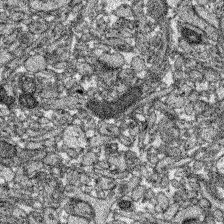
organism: Zebrafish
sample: Larval olfactory bulb